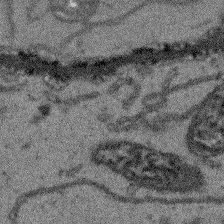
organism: Arabidopsis thaliana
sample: Root tip